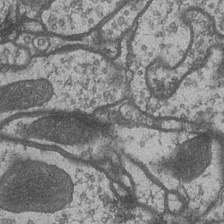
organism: Drosophila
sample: Optic medulla